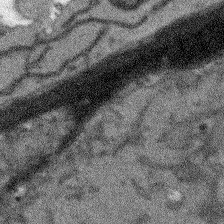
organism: Arabidopsis thaliana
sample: Root tip